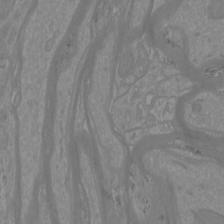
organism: Mouse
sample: Cortical neurons